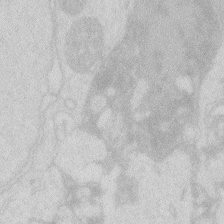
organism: Zebrafish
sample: Macrophage